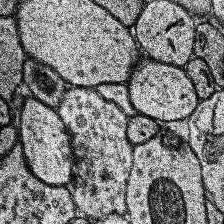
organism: Human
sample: Temporal Lobe